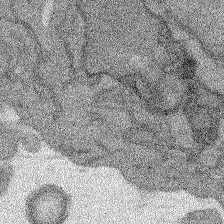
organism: Human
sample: HeLa cells